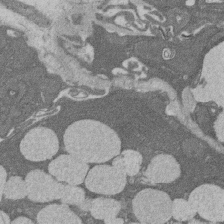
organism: Rat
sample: Salivary granule